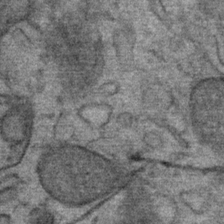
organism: Mouse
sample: Mouse Salivary gland